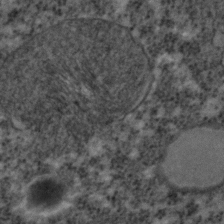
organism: C. elegans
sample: C. elegans embryo